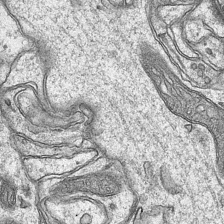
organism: Mouse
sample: CA1 Hippocampus